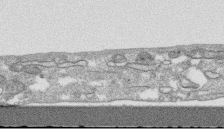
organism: Human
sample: CRL-1474